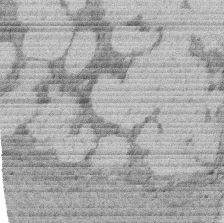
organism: Rat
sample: Salivary granule